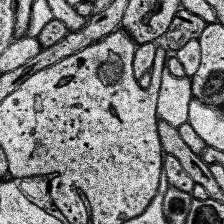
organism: Human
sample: Temporal Lobe